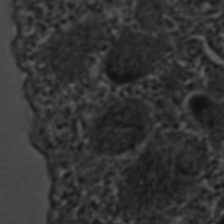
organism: C. elegans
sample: C. elegans embryo